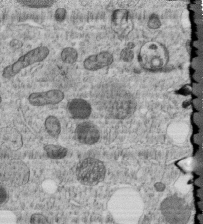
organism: C. elegans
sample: C. elegans embryo early stage